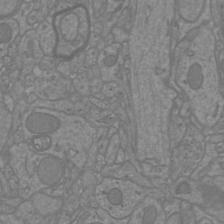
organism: Mouse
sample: Cortical neurons